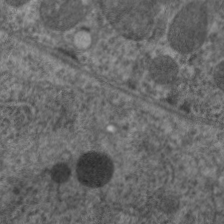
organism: C. elegans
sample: Pharynx